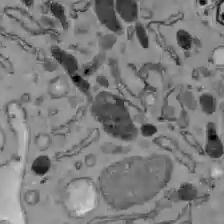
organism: C57BL Mouse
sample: Liver